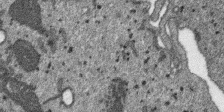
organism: Human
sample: Lung epithelial cells infected with SARS-CoV-2